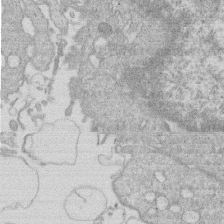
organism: Human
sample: Macrophage cells